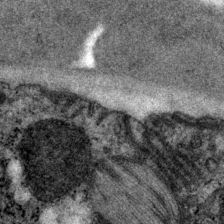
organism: P. pacificus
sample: Pharynx